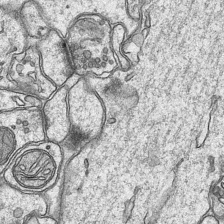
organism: Mouse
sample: CA1 Hippocampus